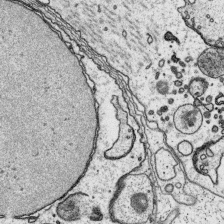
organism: Platynereis dumerilii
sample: Parapodia